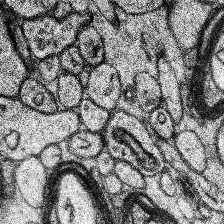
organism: Human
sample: Temporal Lobe